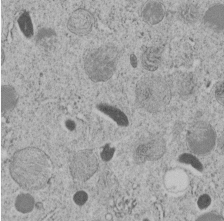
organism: C. elegans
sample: C. elegans embryo early stage